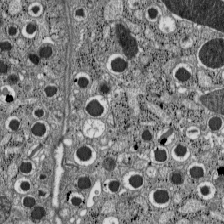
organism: C57BL Mouse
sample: Pancreatic islet